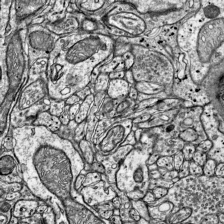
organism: Mouse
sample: Visual Cortex